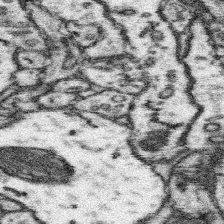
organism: Mouse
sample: Somatosensory cortex neuropil